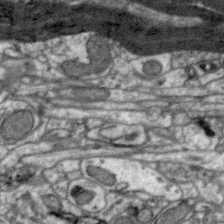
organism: Zebra finch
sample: Brain